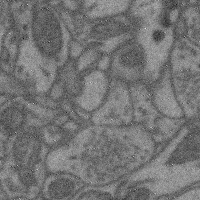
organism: Mouse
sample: Cerebral cortex